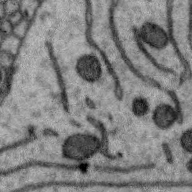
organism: Zebra finch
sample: Brain